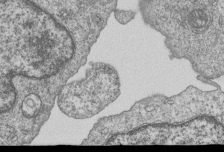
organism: Human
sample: MDA-MB-231 cells